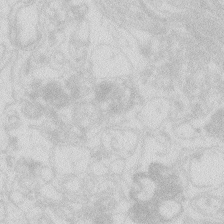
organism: Zebrafish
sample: Macrophage